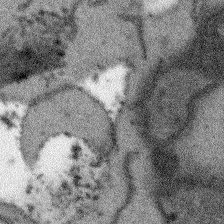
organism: Arabidopsis thaliana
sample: Root tip